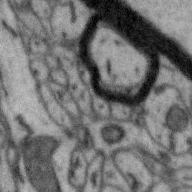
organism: Zebra finch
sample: Brain